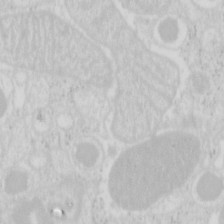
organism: Mouse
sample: Pancreas